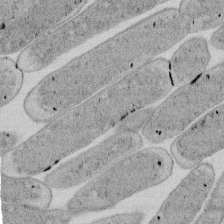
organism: E. coli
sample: Bacterial nucleoid